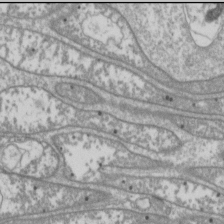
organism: Drosophila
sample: Cell division; meiosis; drosophila spermatocytes